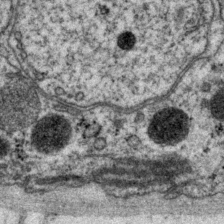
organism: P. pacificus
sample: Pharynx